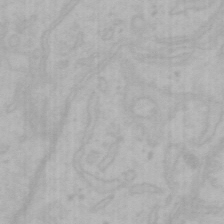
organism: Mouse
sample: Choroid plexus